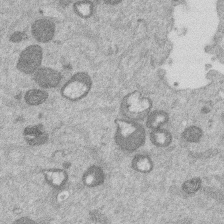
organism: Mouse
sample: Dividing mouse embryo 1 cell stage